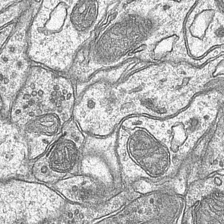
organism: Mouse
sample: CA1 Hippocampus